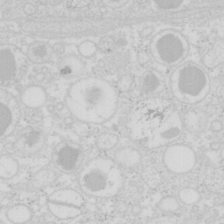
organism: Mouse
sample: Pancreas